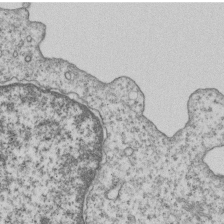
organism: Human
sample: MDA-MB-231 cells